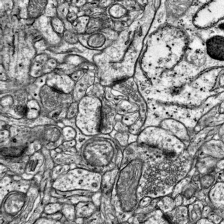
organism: Mouse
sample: Visual Cortex